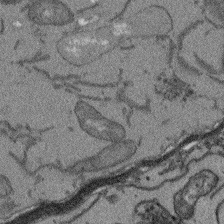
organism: Arabidopsis thaliana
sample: Root tip